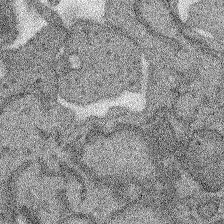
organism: Human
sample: HeLa cells